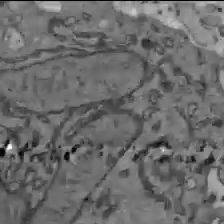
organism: C57BL Mouse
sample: Liver